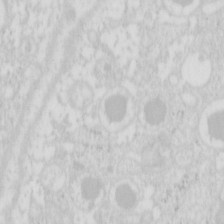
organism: Mouse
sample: Pancreas